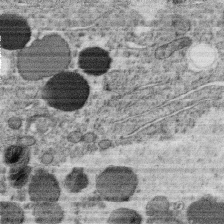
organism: C. elegans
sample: C. elegans oocyte; sperm cells